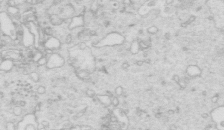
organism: Mouse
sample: Multiciliated cells